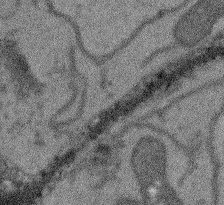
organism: Arabidopsis thaliana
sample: Root tip